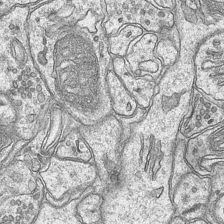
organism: Mouse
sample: CA1 Hippocampus